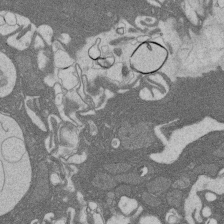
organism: Rat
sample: Salivary granule